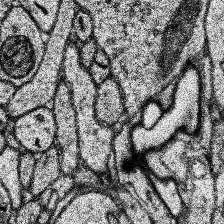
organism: Human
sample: Temporal Lobe